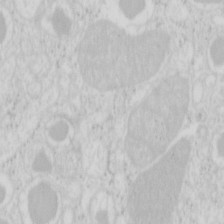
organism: Mouse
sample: Pancreas